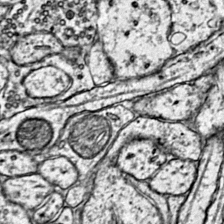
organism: Mouse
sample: Primary visual cortex